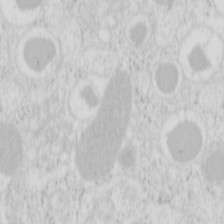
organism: Mouse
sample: Pancreas